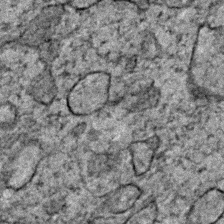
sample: Trachea